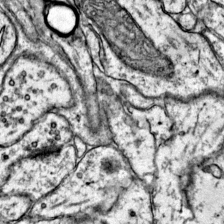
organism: Mouse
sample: Primary visual cortex